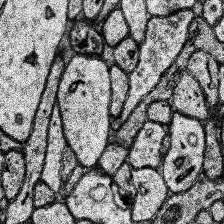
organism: Human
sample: Temporal Lobe